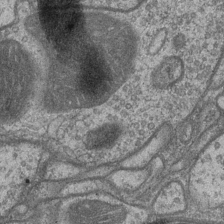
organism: Drosophila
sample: Optic medulla